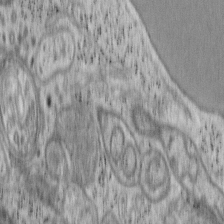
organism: Human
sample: HeLa cells